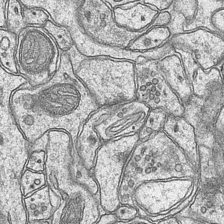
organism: Mouse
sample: CA1 Hippocampus